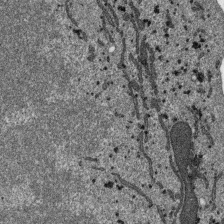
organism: Human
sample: Lung epithelial cells infected with SARS-CoV-2